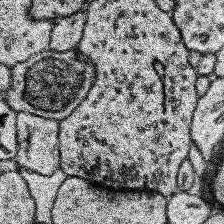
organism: Human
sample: Temporal Lobe